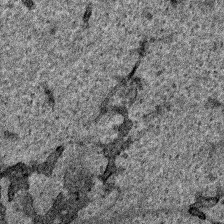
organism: Human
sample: Mitochondria in HCT116 cells